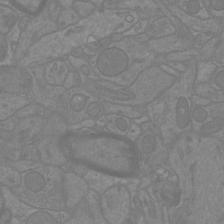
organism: Mouse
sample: Cortical neurons